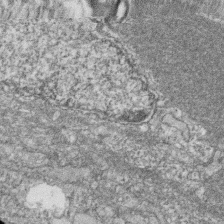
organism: Zebrafish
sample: Cilia; retinal pigment epithelium